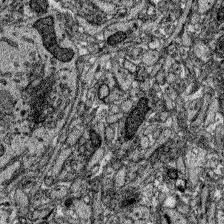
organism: Zebrafish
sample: Larval olfactory bulb